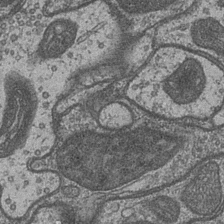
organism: Drosophila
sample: Optic medulla